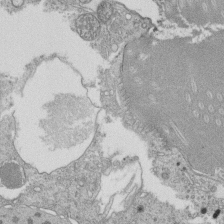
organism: Tetrahymena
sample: Cilia in tetrahymena